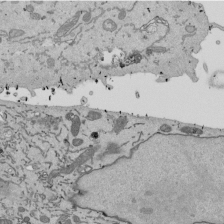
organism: Mouse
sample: ED-1 cell nuclei; centrioles